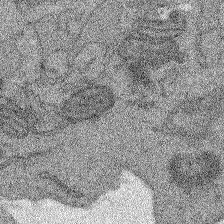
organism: Human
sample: HeLa cells